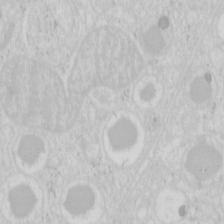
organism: Mouse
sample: Pancreas